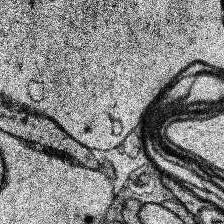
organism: Human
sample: Temporal Lobe